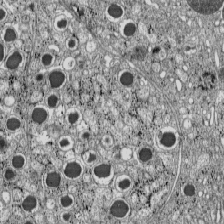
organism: C57BL Mouse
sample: Pancreatic islet